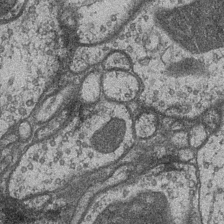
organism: Drosophila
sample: Optic medulla